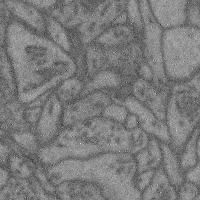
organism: Mouse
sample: Cerebral cortex